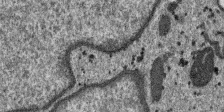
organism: Human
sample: Lung epithelial cells infected with SARS-CoV-2